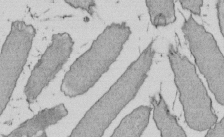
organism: E. coli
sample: Bacterial nucleoid